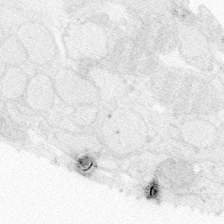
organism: Zebrafish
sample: Whole-Brain